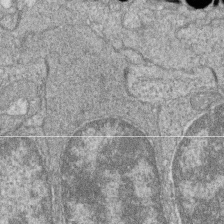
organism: Zebrafish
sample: Cilia; retinal pigment epithelium